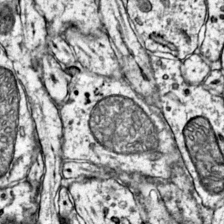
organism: Mouse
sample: Primary visual cortex